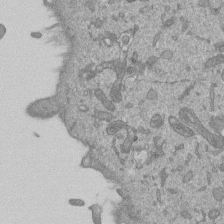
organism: Mouse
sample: ED-1 cell nuclei; centrioles